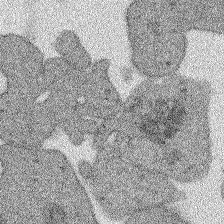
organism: Human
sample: HeLa cells